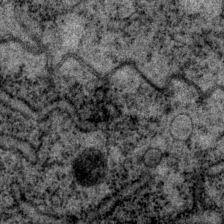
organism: P. pacificus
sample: Pharynx